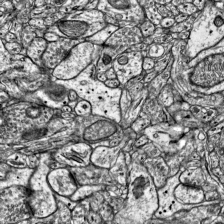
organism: Mouse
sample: Visual Cortex